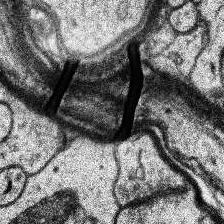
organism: Human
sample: Temporal Lobe